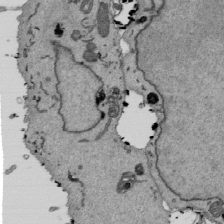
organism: Mouse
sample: ED-1 cell nuclei; centrioles